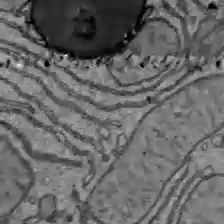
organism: C57BL Mouse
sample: Liver